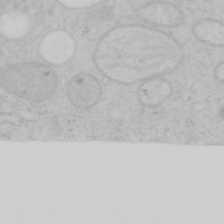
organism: Mouse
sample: OT-I killer T cells with ID8 ovarian cancer cells